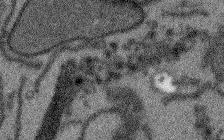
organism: Arabidopsis thaliana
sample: Root tip